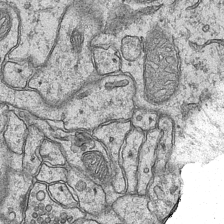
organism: Mouse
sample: CA1 Hippocampus